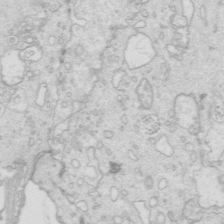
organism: Mouse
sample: Multiciliated cells